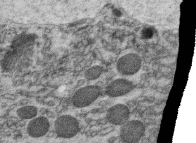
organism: C. elegans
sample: C. elegans oocyte; sperm cells